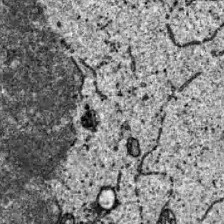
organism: Human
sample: HeLa cells